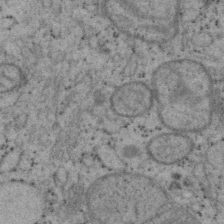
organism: Human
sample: HeLa cells